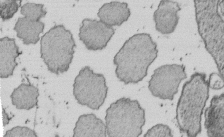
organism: E. coli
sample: Bacterial nucleoid